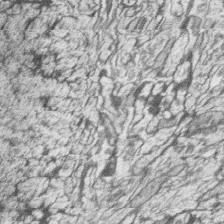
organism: Zebrafish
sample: synaptic ribbons in rod cells and cone cells